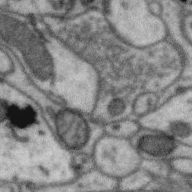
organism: Zebra finch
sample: Brain